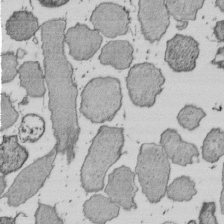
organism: E. coli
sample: Bacterial nucleoid